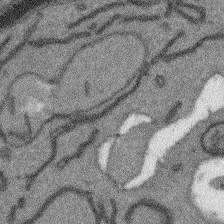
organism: Arabidopsis thaliana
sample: Root tip